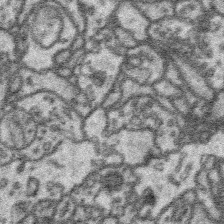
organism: Platynereis dumerilii